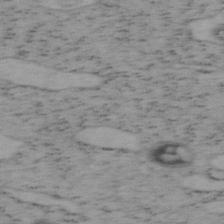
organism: Mouse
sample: OT-I killer T cells with ID8 ovarian cancer cells